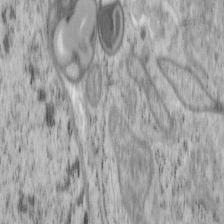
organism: Human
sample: HeLa cells